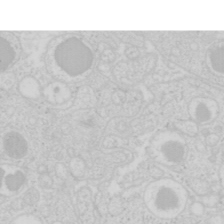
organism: Mouse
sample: Pancreas